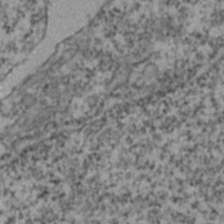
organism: Zebrafish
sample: Zebrafish embryo